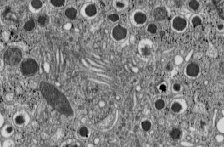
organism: C57BL Mouse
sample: Pancreatic islet